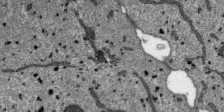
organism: Human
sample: Lung epithelial cells, uninfected (mock) control